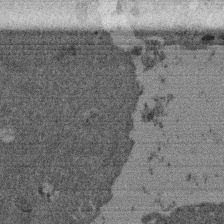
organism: Mouse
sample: Dividing mouse embryo 1 cell stage